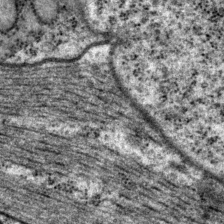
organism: P. pacificus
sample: Pharynx